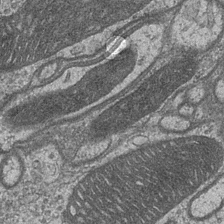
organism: Drosophila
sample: Optic medulla